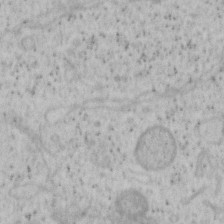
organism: Human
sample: HeLa cells